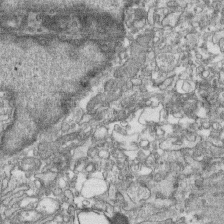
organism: Human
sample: CRL-1474